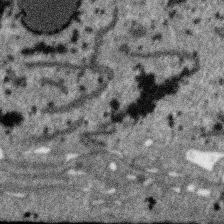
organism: Human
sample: Lung epithelial cells infected with SARS-CoV-2